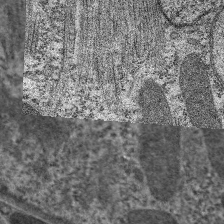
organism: C. elegans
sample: Pharynx